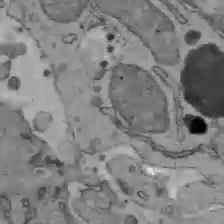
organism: C57BL Mouse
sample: Liver